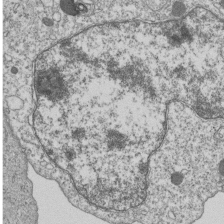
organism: Human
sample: MDA-MB-231 cells